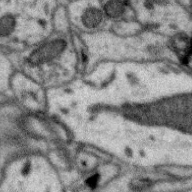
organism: Zebra finch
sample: Brain